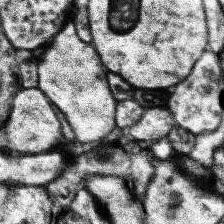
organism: Human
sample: Temporal Lobe